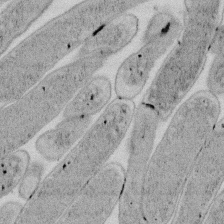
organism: E. coli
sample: Bacterial nucleoid